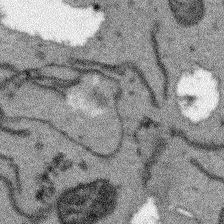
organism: Arabidopsis thaliana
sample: Root tip